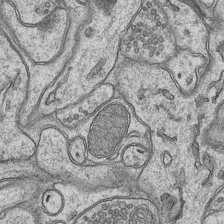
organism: Mouse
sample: CA1 Hippocampus